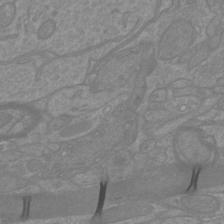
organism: Mouse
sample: Cortical neurons